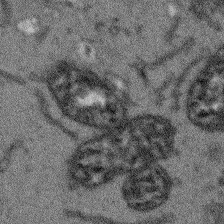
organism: Arabidopsis thaliana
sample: Root tip